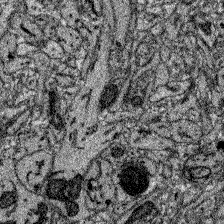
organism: Zebrafish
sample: Larval olfactory bulb